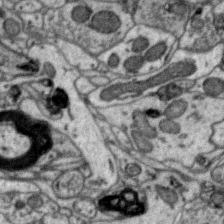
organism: Zebra finch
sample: Brain